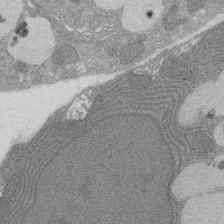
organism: Rat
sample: Salivary granule